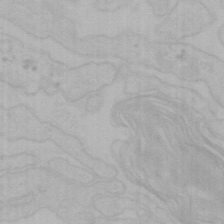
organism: Mouse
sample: Choroid plexus